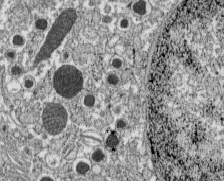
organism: C57BL Mouse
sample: Pancreatic islet